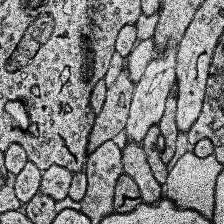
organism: Human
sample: Temporal Lobe